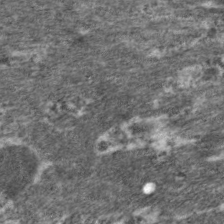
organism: C. elegans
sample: Pharynx